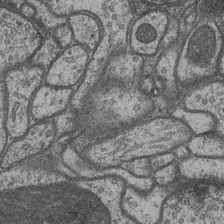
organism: Drosophila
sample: Optic medulla